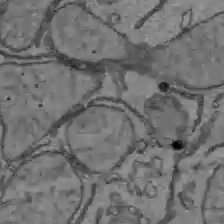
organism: C57BL Mouse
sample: Liver